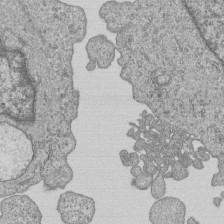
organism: Human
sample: MDA-MB-231 cells